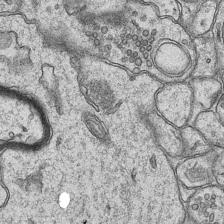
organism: Mouse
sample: CA1 Hippocampus